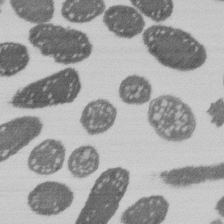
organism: E. coli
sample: Bacterial nucleoid